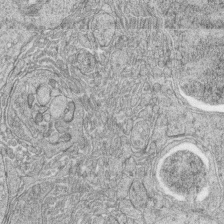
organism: Zebrafish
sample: synaptic ribbons in rod cells and cone cells